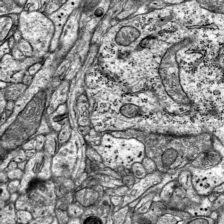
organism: Mouse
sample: Visual Cortex